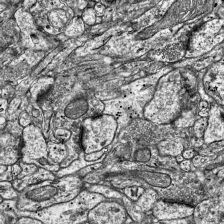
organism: Mouse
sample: Visual Cortex